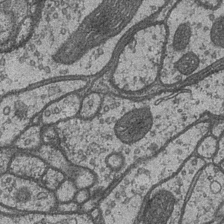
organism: Drosophila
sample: Optic medulla